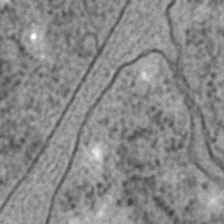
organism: C. elegans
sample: C. elegans embryo